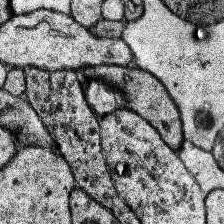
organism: Human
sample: Temporal Lobe